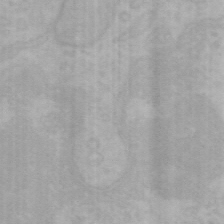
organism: Mouse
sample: Choroid plexus